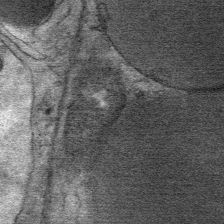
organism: Mouse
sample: Mouse Salivary gland